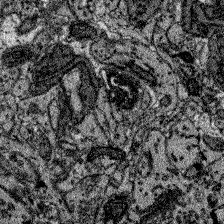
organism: Zebrafish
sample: Larval olfactory bulb